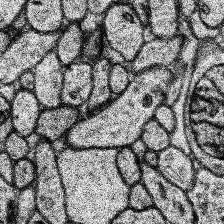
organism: Human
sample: Temporal Lobe